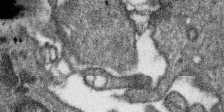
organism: Human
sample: Lung epithelial cells infected with SARS-CoV-2